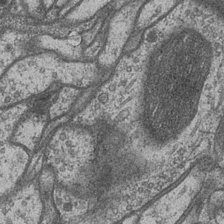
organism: Drosophila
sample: Optic medulla